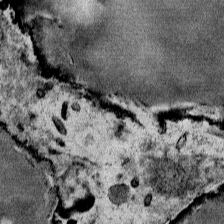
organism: Mouse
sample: Mouse Salivary gland